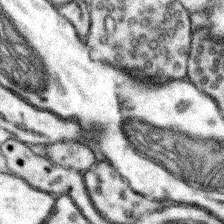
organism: Mouse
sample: Somatosensory cortex neuropil